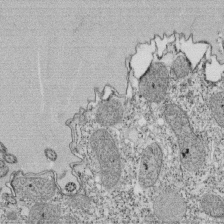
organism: Tetrahymena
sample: Cilia in tetrahymena